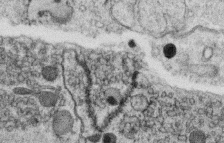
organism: C. elegans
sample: C. elegans oocyte; sperm cells